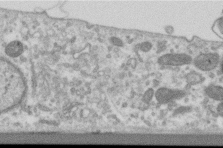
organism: Human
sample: Centriole in RPE cells